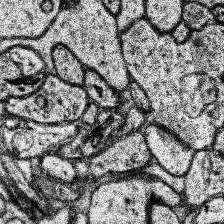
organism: Human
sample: Temporal Lobe